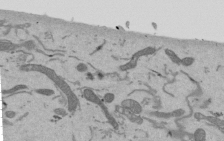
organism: Mouse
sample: ED-1 cell nuclei; centrioles